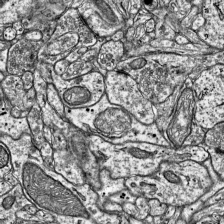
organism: Mouse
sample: Visual Cortex